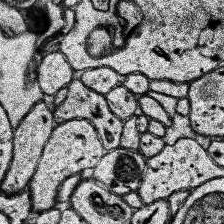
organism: Human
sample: Temporal Lobe